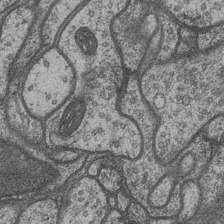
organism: Drosophila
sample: Optic medulla